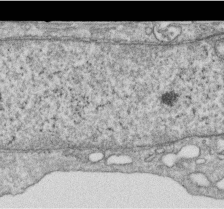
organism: Human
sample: Centriole in RPE cells